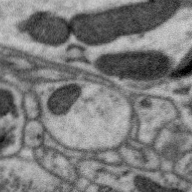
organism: Zebra finch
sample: Brain